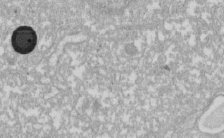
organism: Xenopus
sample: Cilia; centrioles in frog embryo cells